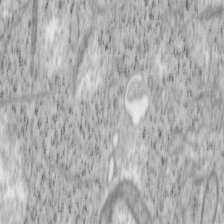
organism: Human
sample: HeLa cells